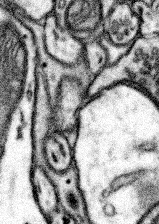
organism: Mouse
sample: Somatosensory cortex neuropil